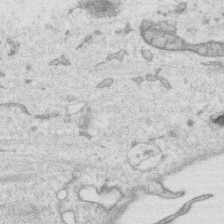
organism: Human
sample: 1205lu cells